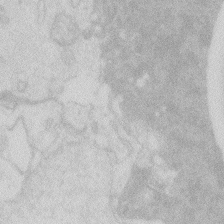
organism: Zebrafish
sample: Macrophage